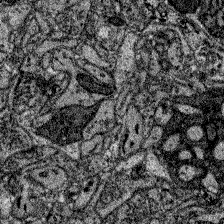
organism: Zebrafish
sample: Larval olfactory bulb